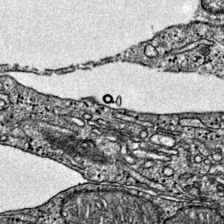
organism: Mouse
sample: Primary visual cortex